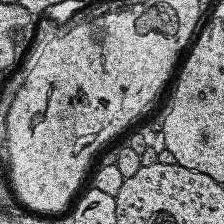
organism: Human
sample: Temporal Lobe